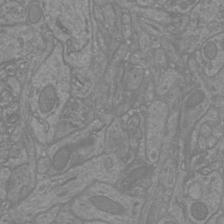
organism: Mouse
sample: Cortical neurons